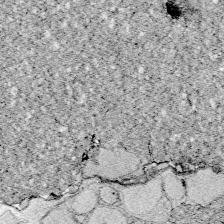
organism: Zebrafish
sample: Whole-Brain